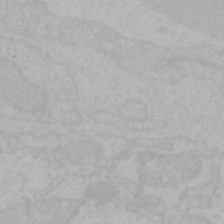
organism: Mouse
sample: Choroid plexus